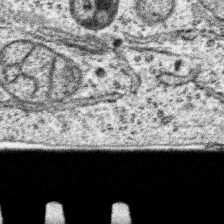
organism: Human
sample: HeLa cells